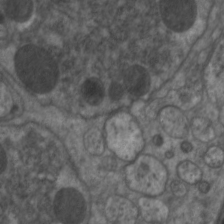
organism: C. elegans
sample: Pharynx